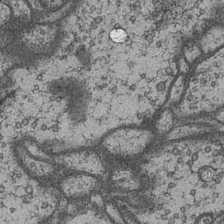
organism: Drosophila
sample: Optic medulla